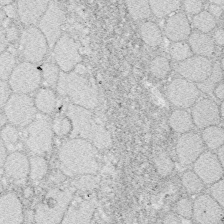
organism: Zebrafish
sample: Whole-Brain